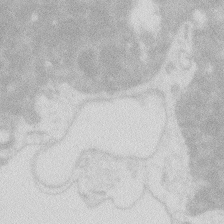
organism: Zebrafish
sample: Macrophage